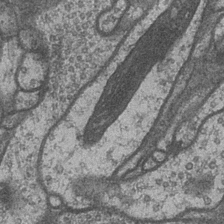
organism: Drosophila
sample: Optic medulla